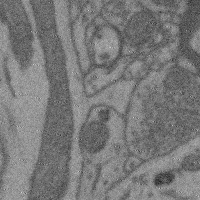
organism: Mouse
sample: Cerebral cortex